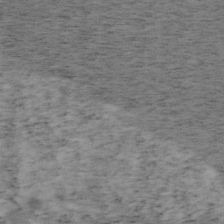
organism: Mouse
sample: OT-I killer T cells with ID8 ovarian cancer cells